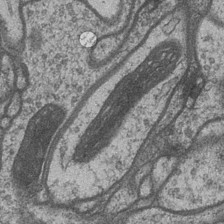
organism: Drosophila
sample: Optic medulla